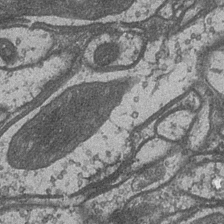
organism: Drosophila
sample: Optic medulla